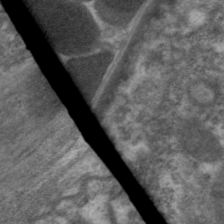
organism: C. elegans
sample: Pharynx